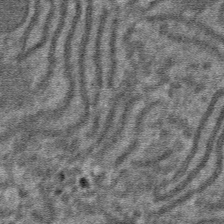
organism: Mouse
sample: Mouse hepatocytes